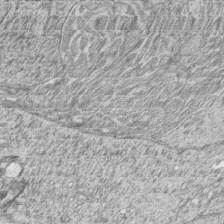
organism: Zebrafish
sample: synaptic ribbons in rod cells and cone cells